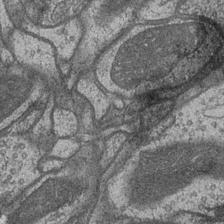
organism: Drosophila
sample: Optic medulla